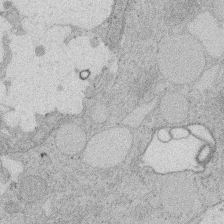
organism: Rat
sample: Salivary granule